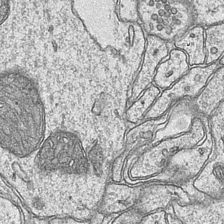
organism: Mouse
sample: CA1 Hippocampus